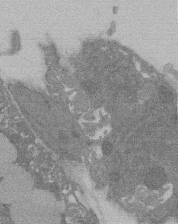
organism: Rat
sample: Salivary granule